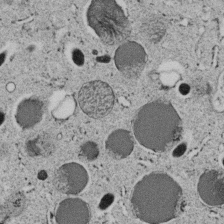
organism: C. elegans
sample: C. elegans embryo early stage